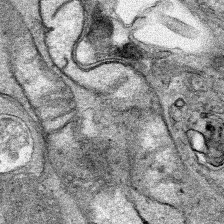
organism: Human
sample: Mitochondria in HCT116 cells